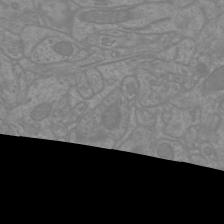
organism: Mouse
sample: Cortical neurons